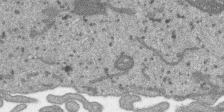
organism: Human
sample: Lung epithelial cells infected with SARS-CoV-2